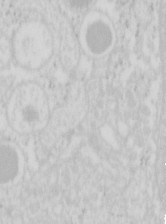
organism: Mouse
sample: Pancreas